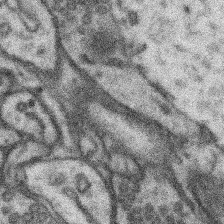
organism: Mouse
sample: Somatosensory cortex neuropil